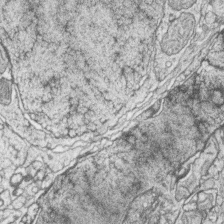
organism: Zebrafish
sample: synaptic ribbons in rod cells and cone cells